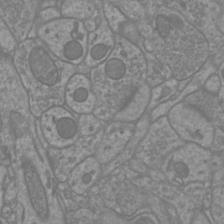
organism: Mouse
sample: Cortical neurons